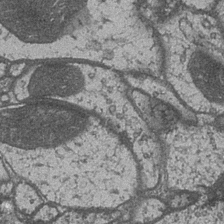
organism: Drosophila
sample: Optic medulla